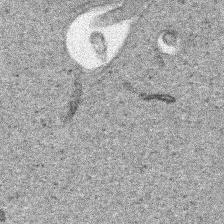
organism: Human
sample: Mitochondria in HCT116 cells